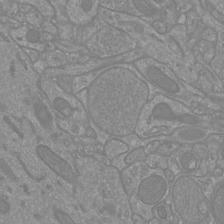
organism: Mouse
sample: Cortical neurons